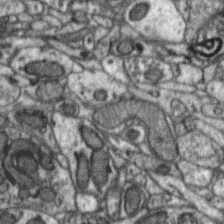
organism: Zebra finch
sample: Brain